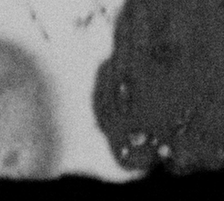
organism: Gemmata obscuriglobus